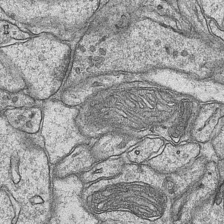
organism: Mouse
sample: CA1 Hippocampus